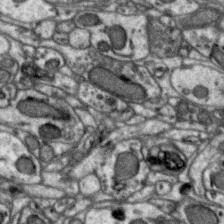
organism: Zebra finch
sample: Brain